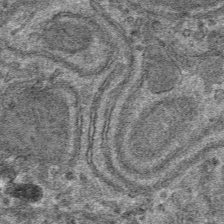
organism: Mouse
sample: Mouse hepatocytes